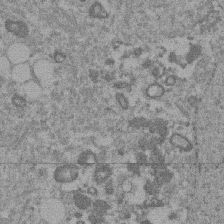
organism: Mouse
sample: Dividing mouse embryo 1 cell stage